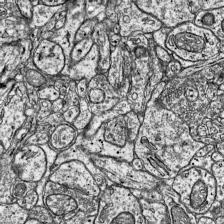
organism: Mouse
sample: Visual Cortex